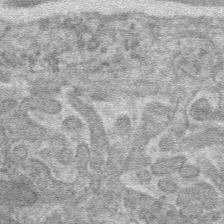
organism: Mouse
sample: Mouse hepatocytes